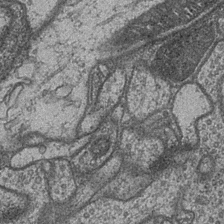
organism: Drosophila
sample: Optic medulla